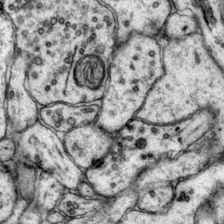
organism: Mouse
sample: Primary visual cortex